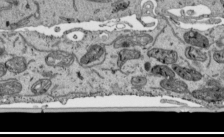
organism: Human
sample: Mitochondria in HCT116 cells